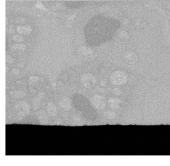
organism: C. elegans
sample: C. elegans oocyte; sperm cells